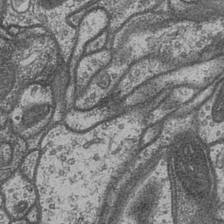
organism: Drosophila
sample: Optic medulla